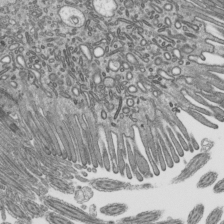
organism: Mouse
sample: Mouse epididymis efferent ductule cilia